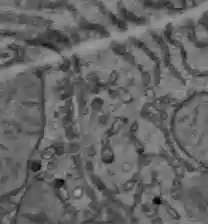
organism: C57BL Mouse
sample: Liver